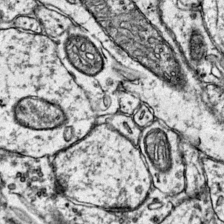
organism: Mouse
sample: Primary visual cortex